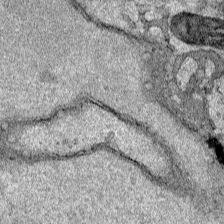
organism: Human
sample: Mitochondria in HCT116 cells